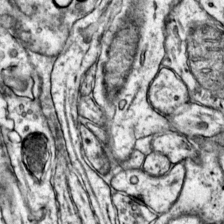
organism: Mouse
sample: Primary visual cortex